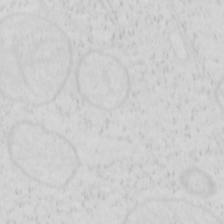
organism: Human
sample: SUM-159 cell